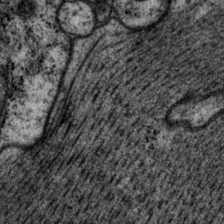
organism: P. pacificus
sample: Pharynx